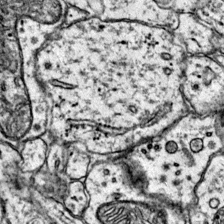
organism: Mouse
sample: Primary visual cortex